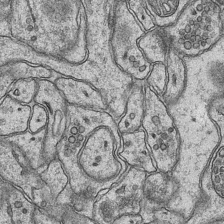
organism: Mouse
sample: CA1 Hippocampus